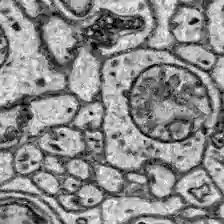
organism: Zebrafish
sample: Brain